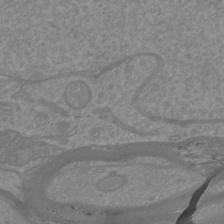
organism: Mouse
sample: Cortical neurons